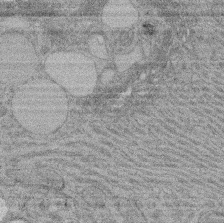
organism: Rat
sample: Salivary granule